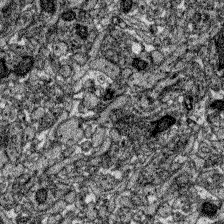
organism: Zebrafish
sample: Larval olfactory bulb